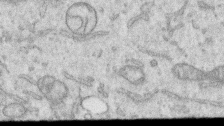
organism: Human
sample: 1205lu cells